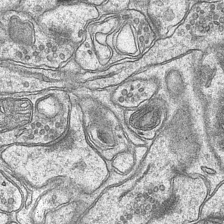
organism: Mouse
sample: CA1 Hippocampus